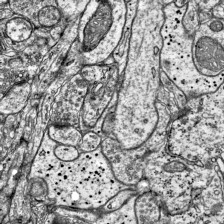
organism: Mouse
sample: Visual Cortex